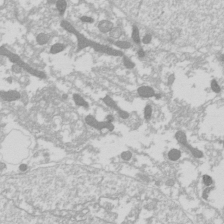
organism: Drosophila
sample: Cell division; meiosis; drosophila spermatocytes